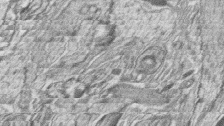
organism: Zebrafish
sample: synaptic ribbons in rod cells and cone cells